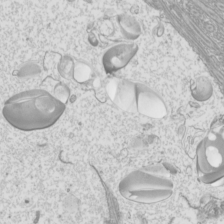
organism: Mouse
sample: Cilia; mouse epididymis